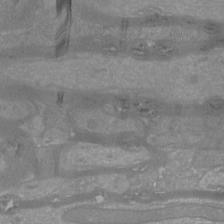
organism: Mouse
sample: Cortical neurons